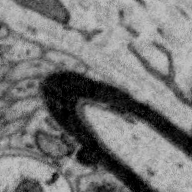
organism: Zebra finch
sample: Brain